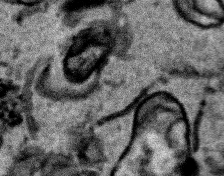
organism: Human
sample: Mitochondria in HCT116 cells